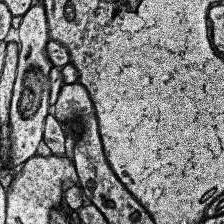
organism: Human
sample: Temporal Lobe